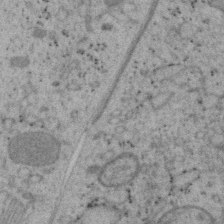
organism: Human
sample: HeLa cells